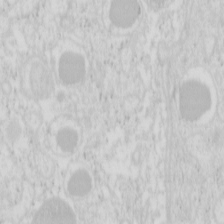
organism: Mouse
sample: Pancreas